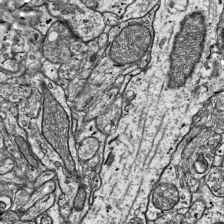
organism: Mouse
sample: Visual Cortex